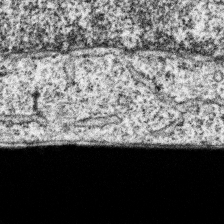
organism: Human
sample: HeLa cells